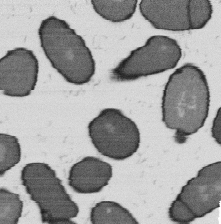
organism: B. subtilis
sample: Bacterial spore